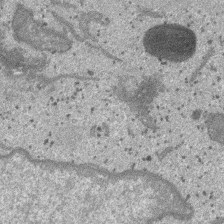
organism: Human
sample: Lung epithelial cells infected with SARS-CoV-2